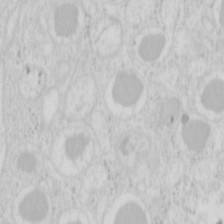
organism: Mouse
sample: Pancreas